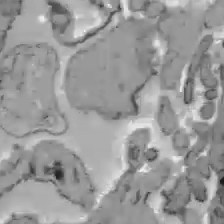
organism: C57BL Mouse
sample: Liver